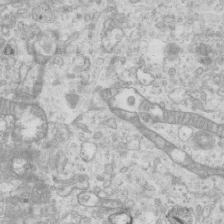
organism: Mouse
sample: Centriole in ependymal cells